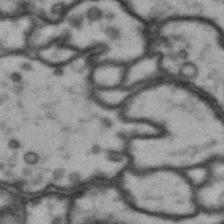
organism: Drosophila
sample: Brain